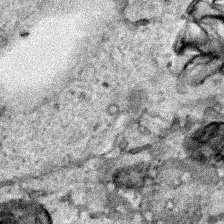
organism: Human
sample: Mitochondria in HCT116 cells